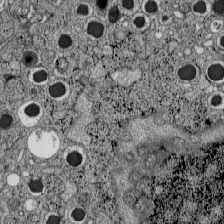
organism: C57BL Mouse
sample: Pancreatic islet